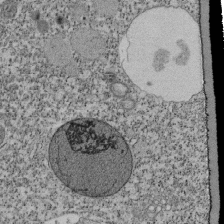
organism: Tetrahymena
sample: Cilia in tetrahymena